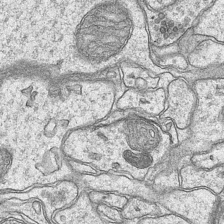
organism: Mouse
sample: CA1 Hippocampus